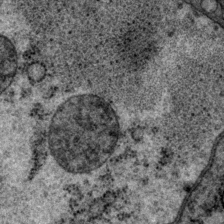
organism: P. pacificus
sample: Pharynx